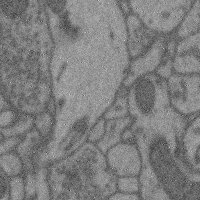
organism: Mouse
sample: Cerebral cortex